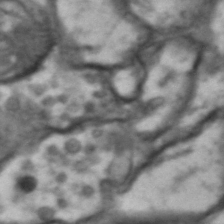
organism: Drosophila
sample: Brain